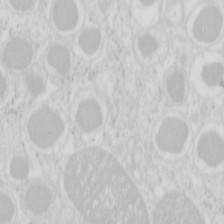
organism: Mouse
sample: Pancreas